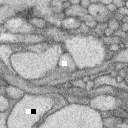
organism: Rabbit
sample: Retina